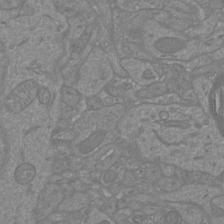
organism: Mouse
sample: Cortical neurons